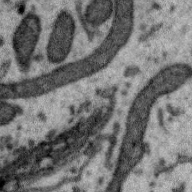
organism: Zebra finch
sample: Brain